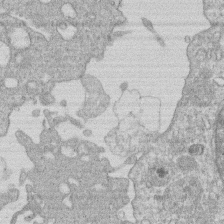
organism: Human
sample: Macrophage cells